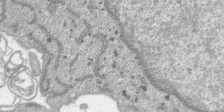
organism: Human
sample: Lung epithelial cells infected with SARS-CoV-2